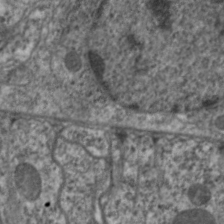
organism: C. elegans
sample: Pharynx